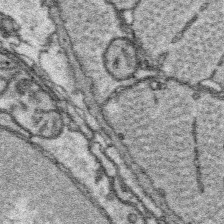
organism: Platynereis dumerilii